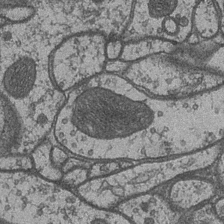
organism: Drosophila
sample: Optic medulla